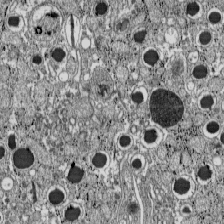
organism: C57BL Mouse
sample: Pancreatic islet